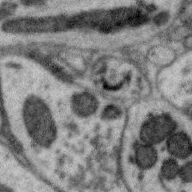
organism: Zebra finch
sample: Brain